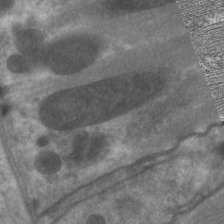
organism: C. elegans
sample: Pharynx